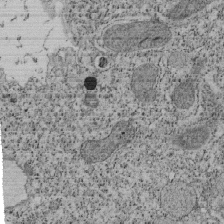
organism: Tetrahymena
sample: Cilia in tetrahymena